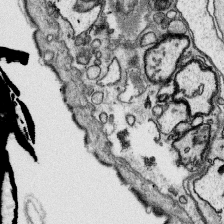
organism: Platynereis dumerilii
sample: Parapodia